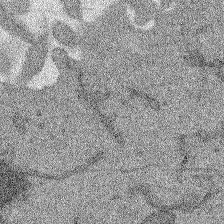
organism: Human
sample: HeLa cells